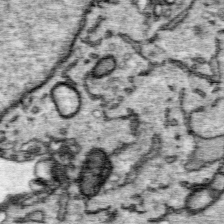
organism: Human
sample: HeLa cells